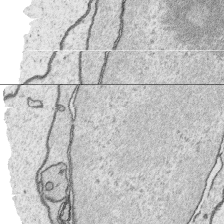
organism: Platynereis dumerilii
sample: Parapodia